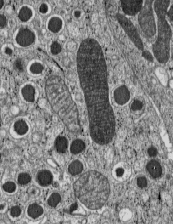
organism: C57BL Mouse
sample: Pancreatic islet